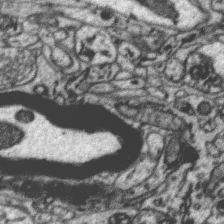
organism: Zebra finch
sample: Brain